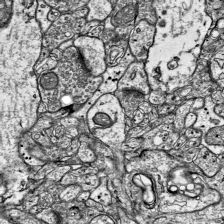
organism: Mouse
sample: Visual Cortex